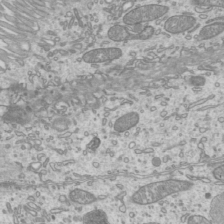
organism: Mouse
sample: Cilia; mouse epididymis